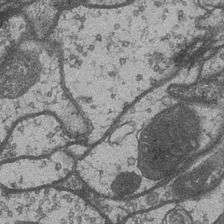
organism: Drosophila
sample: Optic medulla